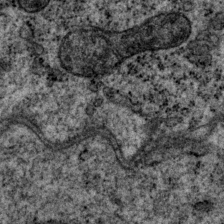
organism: P. pacificus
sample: Pharynx